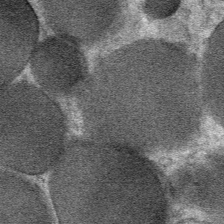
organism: Mouse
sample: Mouse Salivary gland